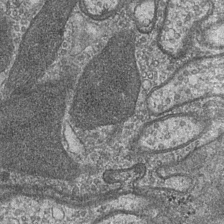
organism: Drosophila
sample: Optic medulla